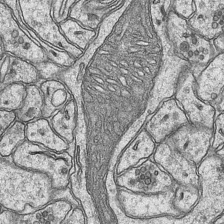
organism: Mouse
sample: CA1 Hippocampus